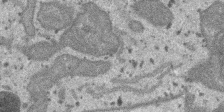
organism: Human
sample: Lung epithelial cells infected with SARS-CoV-2